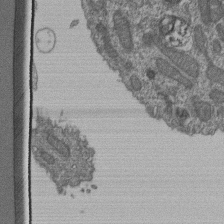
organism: Human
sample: Retinal organoid Rod and Cone cells